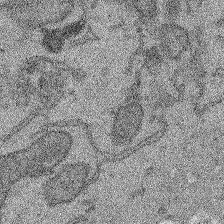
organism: Human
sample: HeLa cells